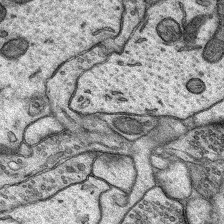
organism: Rat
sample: Hippocampus